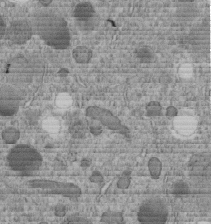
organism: C. elegans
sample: C. elegans embryo early stage